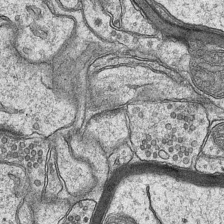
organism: Mouse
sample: CA1 Hippocampus